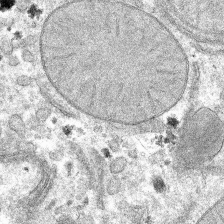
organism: Mouse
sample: Mouse hepatocytes